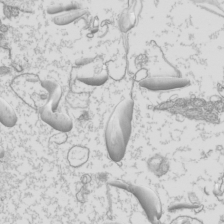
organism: Mouse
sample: Cilia; mouse epididymis